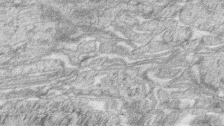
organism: Zebrafish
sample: synaptic ribbons in rod cells and cone cells